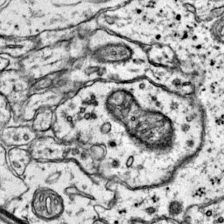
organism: Mouse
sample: Primary visual cortex